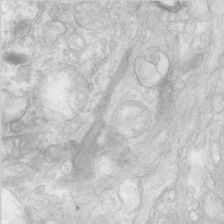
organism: Human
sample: Neocortex